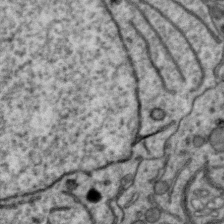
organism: Zebra finch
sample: Brain